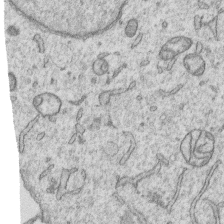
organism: Human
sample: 1205lu cells